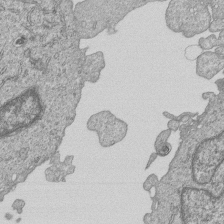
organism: Human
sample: MDA-MB-231 cells